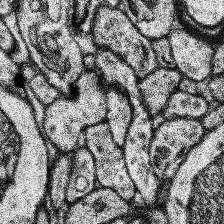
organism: Human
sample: Temporal Lobe